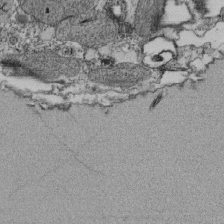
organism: Tetrahymena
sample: Cilia in tetrahymena